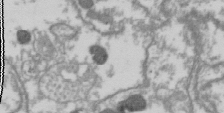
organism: Drosophila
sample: Cell division; meiosis; drosophila spermatocytes